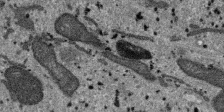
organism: Human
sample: Lung epithelial cells, uninfected (mock) control